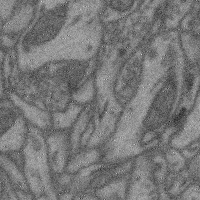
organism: Mouse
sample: Cerebral cortex